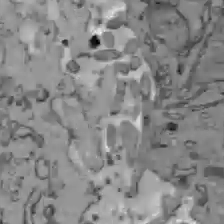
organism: C57BL Mouse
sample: Liver